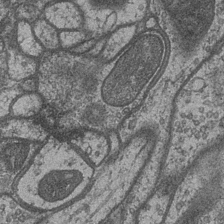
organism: Drosophila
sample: Optic medulla